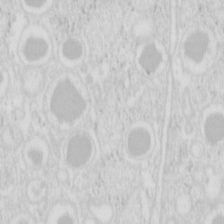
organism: Mouse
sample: Pancreas